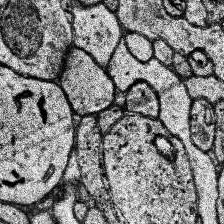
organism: Human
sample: Temporal Lobe